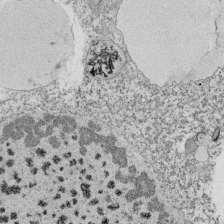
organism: Tetrahymena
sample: Cilia in tetrahymena